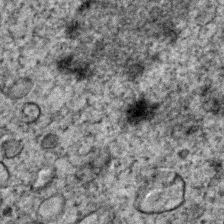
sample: Trachea